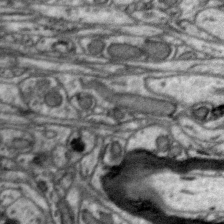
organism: Zebra finch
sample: Brain